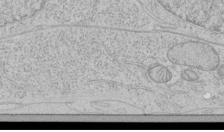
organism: Human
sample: Mitochondria in HCT116 cells